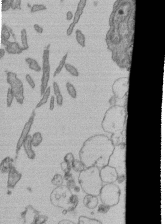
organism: Human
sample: Retinal organoid Rod and Cone cells